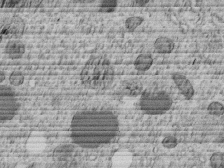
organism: C. elegans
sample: C. elegans embryo early stage